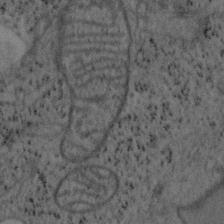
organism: Human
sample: HeLa cells